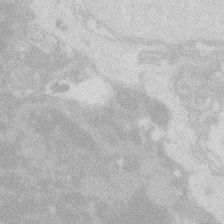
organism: Zebrafish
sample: Macrophage